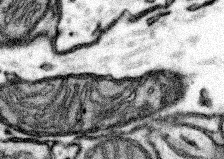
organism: Mouse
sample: Somatosensory cortex neuropil